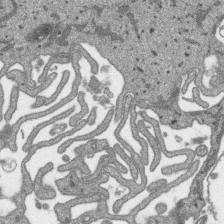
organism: Human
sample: Lung epithelial cells infected with SARS-CoV-2